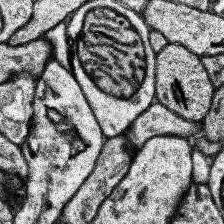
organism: Human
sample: Temporal Lobe